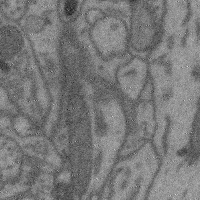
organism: Mouse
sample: Cerebral cortex